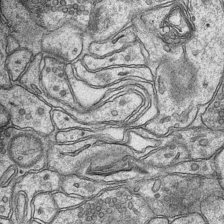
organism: Mouse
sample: CA1 Hippocampus